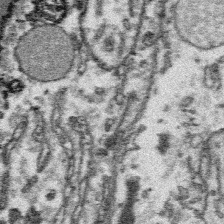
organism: Platynereis dumerilii